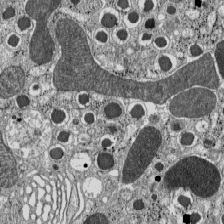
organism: C57BL Mouse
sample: Pancreatic islet